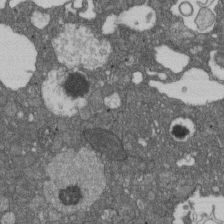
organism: Drosophila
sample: Nephrocyte